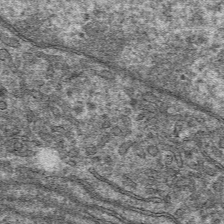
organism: Mouse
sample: Mouse hepatocytes